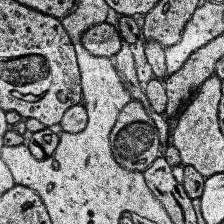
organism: Human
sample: Temporal Lobe